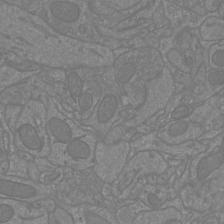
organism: Mouse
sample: Cortical neurons